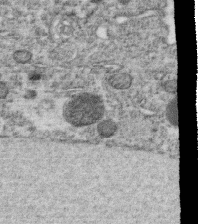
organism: C. elegans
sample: C. elegans oocyte; sperm cells